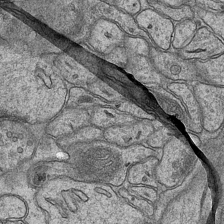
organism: Mouse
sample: CA1 Hippocampus